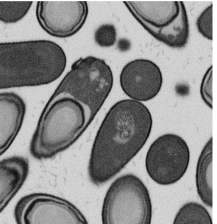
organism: B. subtilis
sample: Bacterial spore